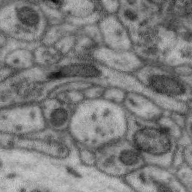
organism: Zebra finch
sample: Brain